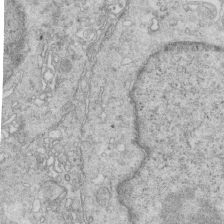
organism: Mouse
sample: Multiciliated cells